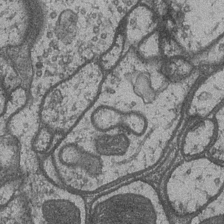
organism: Drosophila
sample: Optic medulla